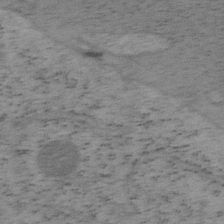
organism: Mouse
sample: OT-I killer T cells with ID8 ovarian cancer cells